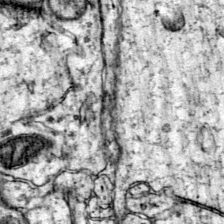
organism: Mouse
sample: Primary visual cortex